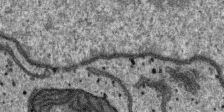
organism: Human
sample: Lung epithelial cells, uninfected (mock) control